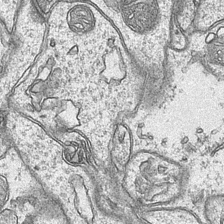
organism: Mouse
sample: CA1 Hippocampus